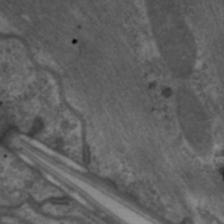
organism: C. elegans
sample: Pharynx